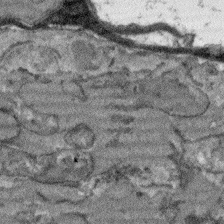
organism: Arabidopsis thaliana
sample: Root tip